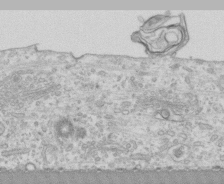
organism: Human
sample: CRL-1474